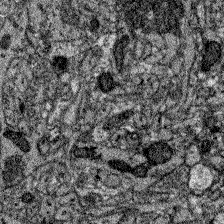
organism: Zebrafish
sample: Larval olfactory bulb